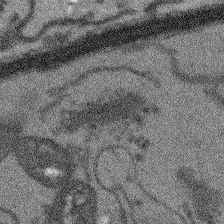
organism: Arabidopsis thaliana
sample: Root tip